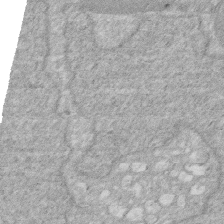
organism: Human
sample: HIV infected U937 cells